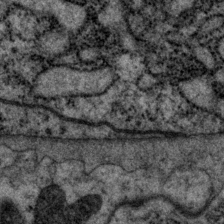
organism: P. pacificus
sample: Pharynx